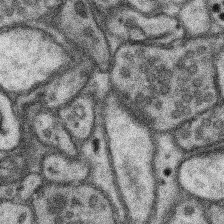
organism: Mouse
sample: Somatosensory cortex neuropil